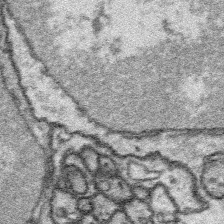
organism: Platynereis dumerilii